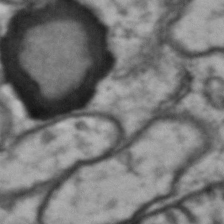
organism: Drosophila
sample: Brain